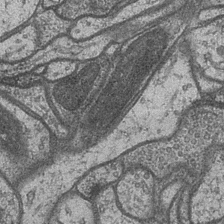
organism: Drosophila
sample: Optic medulla